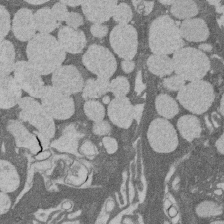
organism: Rat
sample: Salivary granule